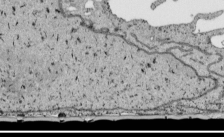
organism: Human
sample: Mitochondria in HCT116 cells